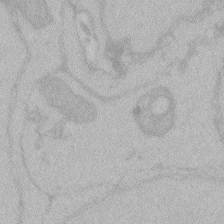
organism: Zebrafish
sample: Macrophage infected with Toxoplasma gondii